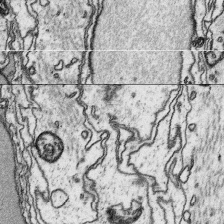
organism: Platynereis dumerilii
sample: Parapodia